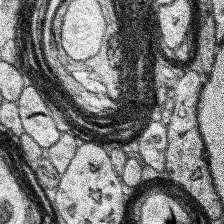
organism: Human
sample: Temporal Lobe